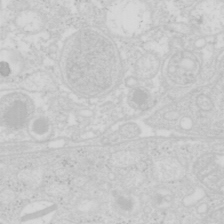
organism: Mouse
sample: Pancreas